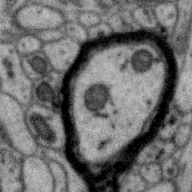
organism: Zebra finch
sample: Brain